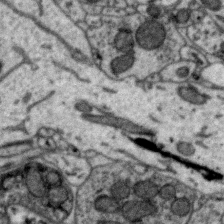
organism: Zebra finch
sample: Brain